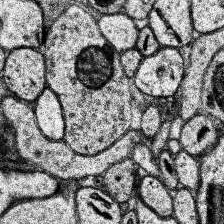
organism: Human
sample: Temporal Lobe